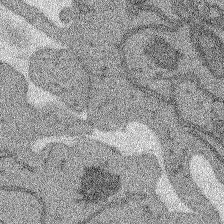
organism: Human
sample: HeLa cells